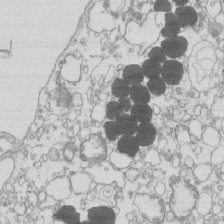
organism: Mouse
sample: Macrophages